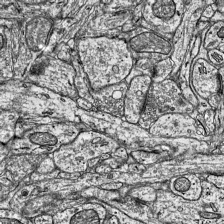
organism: Mouse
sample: Visual Cortex